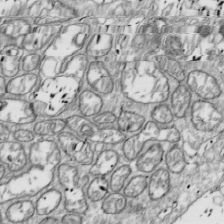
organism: Drosophila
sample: Cell division; meiosis; drosophila spermatocytes